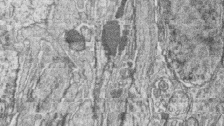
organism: Zebrafish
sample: synaptic ribbons in rod cells and cone cells